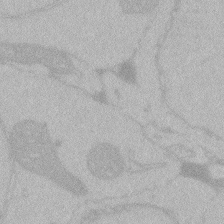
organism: Zebrafish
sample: Macrophage infected with Toxoplasma gondii